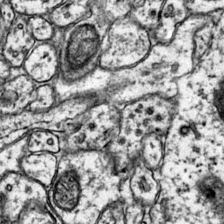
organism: Mouse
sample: Primary visual cortex